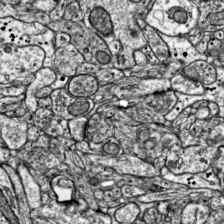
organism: Mouse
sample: Visual Cortex